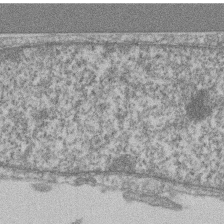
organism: Mouse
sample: T cell stromal cell synapse